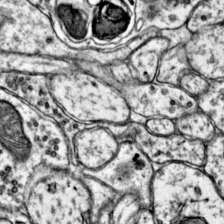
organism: Mouse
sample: Primary visual cortex